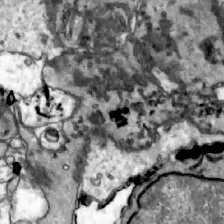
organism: Zebrafish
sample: Actinotrichia fibers